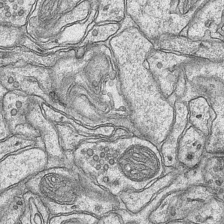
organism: Mouse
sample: CA1 Hippocampus